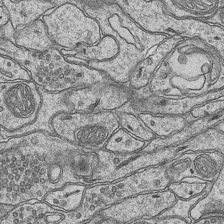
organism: Mouse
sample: CA1 Hippocampus